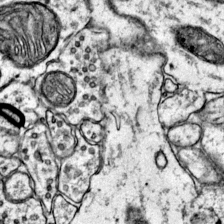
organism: Mouse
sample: Primary visual cortex